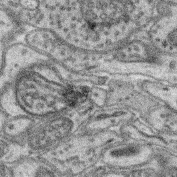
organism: Mouse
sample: Retina